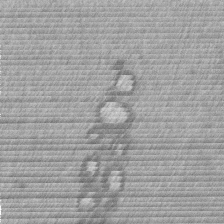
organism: Mouse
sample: Dividing mouse embryo 1 cell stage